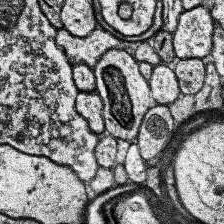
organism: Human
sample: Temporal Lobe